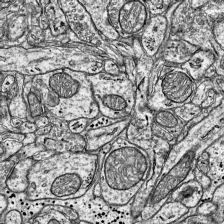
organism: Mouse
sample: Visual Cortex